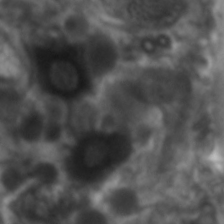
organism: C. elegans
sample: Pharynx